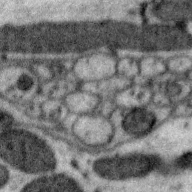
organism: Zebra finch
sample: Brain